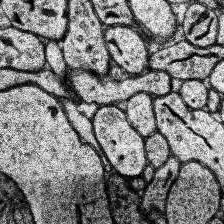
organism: Human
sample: Temporal Lobe